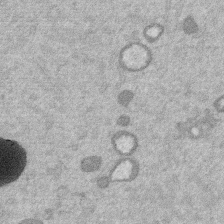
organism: Mouse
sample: Dividing mouse embryo 1 cell stage